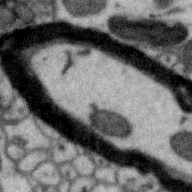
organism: Zebra finch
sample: Brain